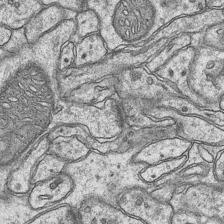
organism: Mouse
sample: CA1 Hippocampus